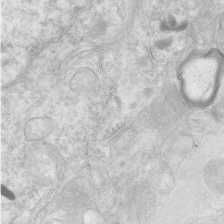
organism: Human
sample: Neocortex